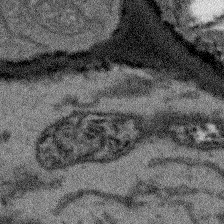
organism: Arabidopsis thaliana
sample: Root tip